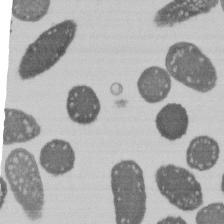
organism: E. coli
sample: Bacterial nucleoid